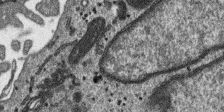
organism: Human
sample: Lung epithelial cells infected with SARS-CoV-2